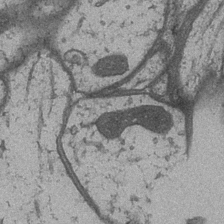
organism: Drosophila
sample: Optic medulla